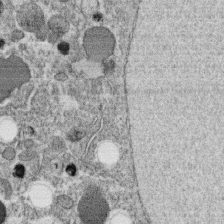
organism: C. elegans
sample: C. elegans oocyte; sperm cells